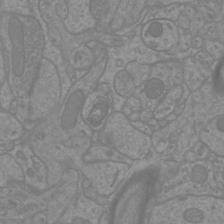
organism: Mouse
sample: Cortical neurons